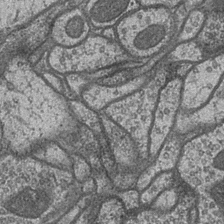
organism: Drosophila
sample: Optic medulla